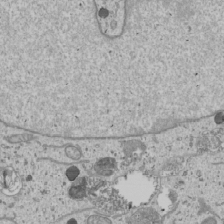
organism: Human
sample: Mitochondria in U2OS cells